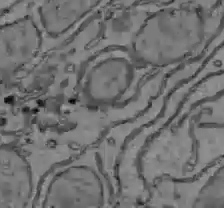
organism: C57BL Mouse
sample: Liver